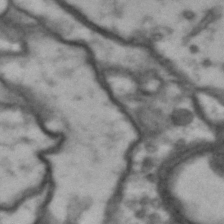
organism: Drosophila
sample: Brain